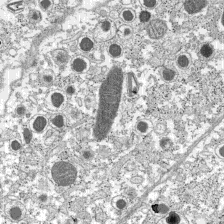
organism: C57BL Mouse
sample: Pancreatic islet